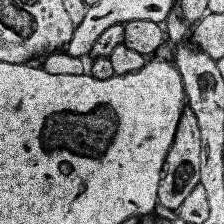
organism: Human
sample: Temporal Lobe